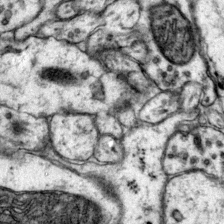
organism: Mouse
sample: Primary visual cortex